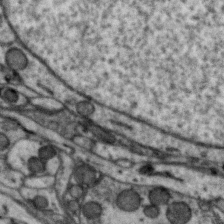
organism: Zebra finch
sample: Brain